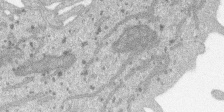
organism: Human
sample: Lung epithelial cells infected with SARS-CoV-2